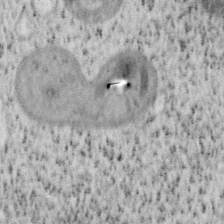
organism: Mouse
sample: OT-I killer T cells with ID8 ovarian cancer cells